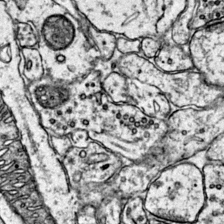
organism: Mouse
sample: Primary visual cortex